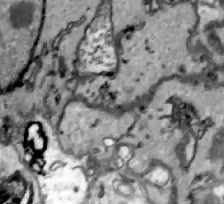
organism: Zebrafish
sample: Actinotrichia fibers